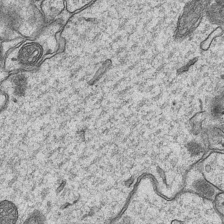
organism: Mouse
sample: CA1 Hippocampus